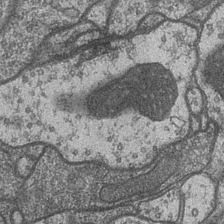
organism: Drosophila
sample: Optic medulla